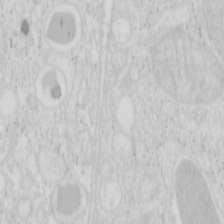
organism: Mouse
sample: Pancreas